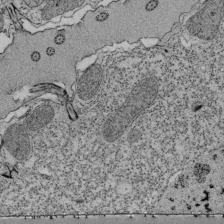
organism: Tetrahymena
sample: Cilia in tetrahymena